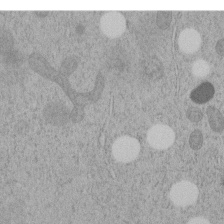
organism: C. elegans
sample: C. elegans embryo early stage